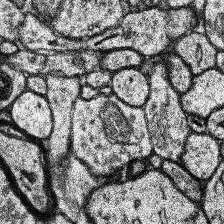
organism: Human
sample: Temporal Lobe